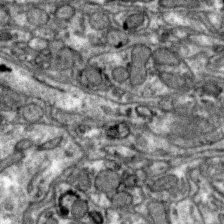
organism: Zebra finch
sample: Brain